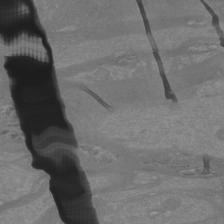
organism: Mouse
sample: Cortical neurons